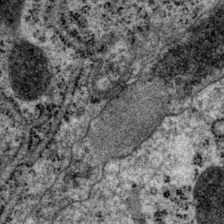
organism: P. pacificus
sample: Pharynx